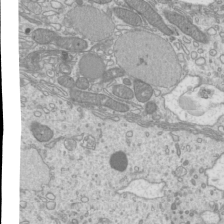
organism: Mouse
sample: Cilia; mouse epididymis